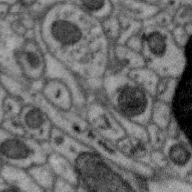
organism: Zebra finch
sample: Brain